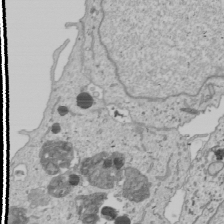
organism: Human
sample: Mitochondria in U2OS cells